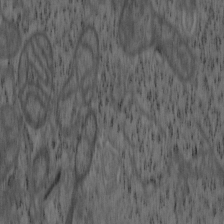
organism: Human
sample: HeLa cells